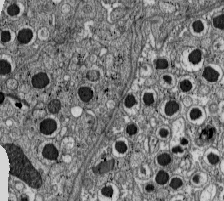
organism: C57BL Mouse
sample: Pancreatic islet